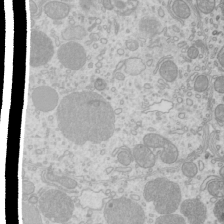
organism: Mouse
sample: Cilia; mouse epididymis